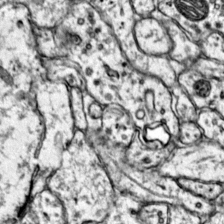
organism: Mouse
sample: Primary visual cortex